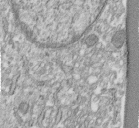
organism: Human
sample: Centriole in fibroblast cells